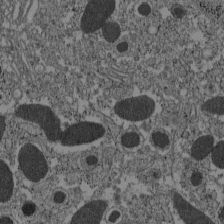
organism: C57BL Mouse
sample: Pancreatic islet